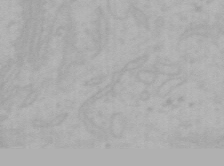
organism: Mouse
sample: Choroid plexus